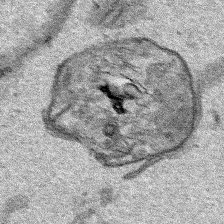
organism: Human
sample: Mitochondria in HCT116 cells